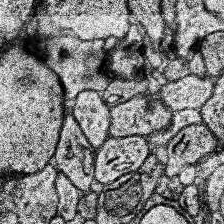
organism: Human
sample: Temporal Lobe